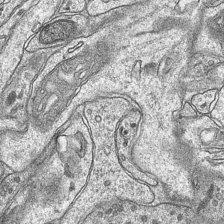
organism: Mouse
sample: CA1 Hippocampus